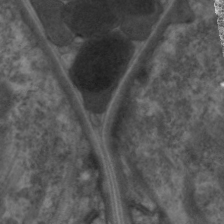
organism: C. elegans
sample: Pharynx